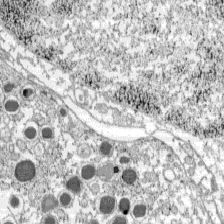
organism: C57BL Mouse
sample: Pancreatic islet